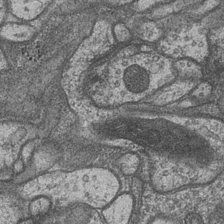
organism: Drosophila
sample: Optic medulla